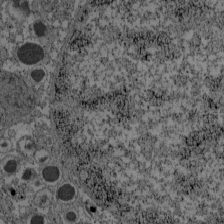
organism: C57BL Mouse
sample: Pancreatic islet